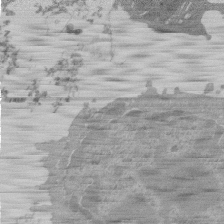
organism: Mouse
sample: Activated Pmel transgenic CD8+ T Cells